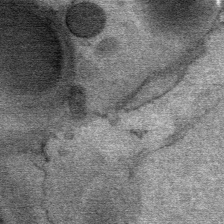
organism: Mouse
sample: Mouse Salivary gland